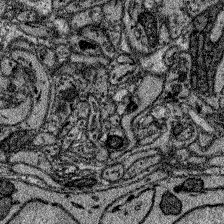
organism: Zebrafish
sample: Larval olfactory bulb